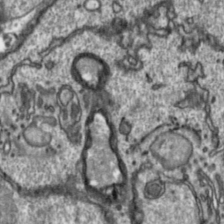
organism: Toxoplasma gondii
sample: Parasites in a vacuole inside a host cell